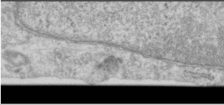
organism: Human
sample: Cilia; basal body in RPE cells